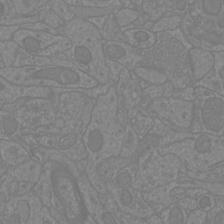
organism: Mouse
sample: Cortical neurons